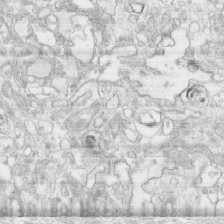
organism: Human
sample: CRL-1474